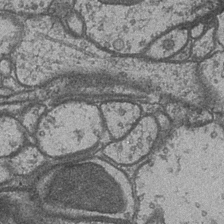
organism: Drosophila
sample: Optic medulla